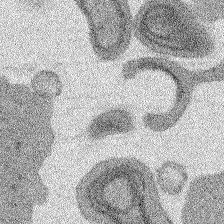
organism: Human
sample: HeLa cells